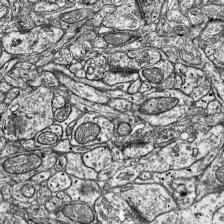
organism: Mouse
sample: Visual Cortex